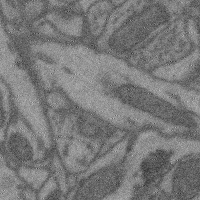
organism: Mouse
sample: Cerebral cortex